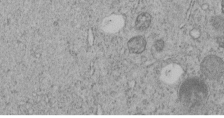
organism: C. elegans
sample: C. elegans embryo early stage